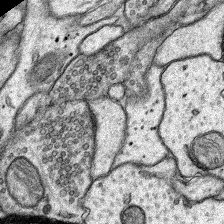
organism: Rat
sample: Hippocampus